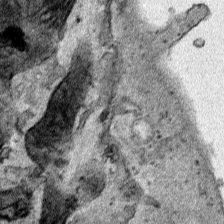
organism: Human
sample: Mitochondria in HCT116 cells